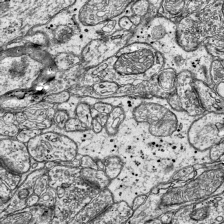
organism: Mouse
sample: Visual Cortex